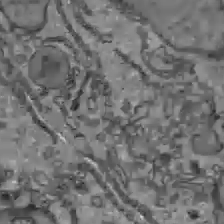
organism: C57BL Mouse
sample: Liver